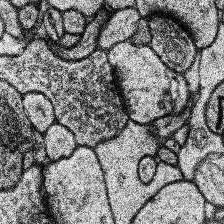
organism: Human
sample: Temporal Lobe